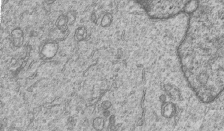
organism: Human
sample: MDA-MB-231 cells